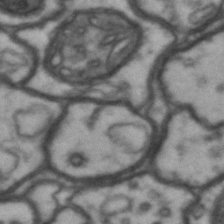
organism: Drosophila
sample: Brain